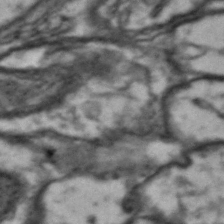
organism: Drosophila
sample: Brain